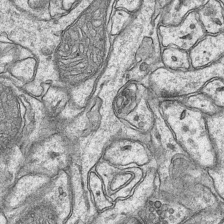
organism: Mouse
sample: CA1 Hippocampus